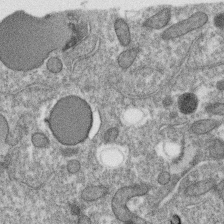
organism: C. elegans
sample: C. elegans oocyte; sperm cells